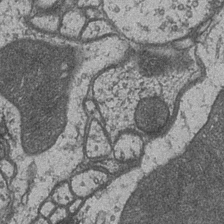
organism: Drosophila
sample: Optic medulla